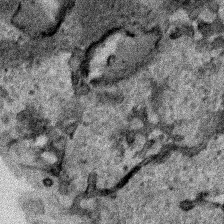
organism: Human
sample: Mitochondria in HCT116 cells